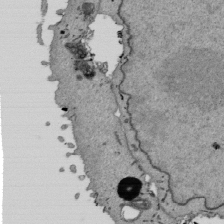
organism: Mouse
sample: ED-1 cell nuclei; centrioles